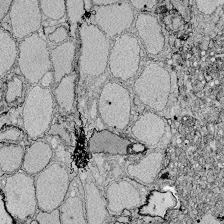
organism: Zebrafish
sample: Whole-Brain